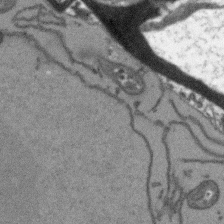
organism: Arabidopsis thaliana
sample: Root tip